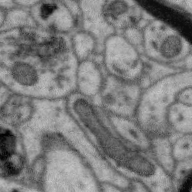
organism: Zebra finch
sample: Brain